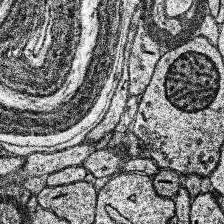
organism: Human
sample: Temporal Lobe